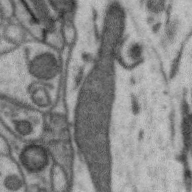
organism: Zebra finch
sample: Brain